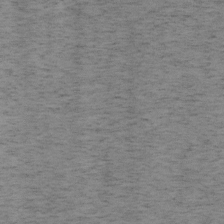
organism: Mouse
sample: OT-I killer T cells with ID8 ovarian cancer cells